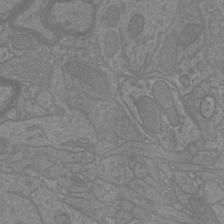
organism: Mouse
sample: Cortical neurons